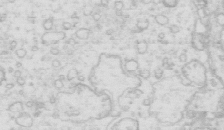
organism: Mouse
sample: Multiciliated cells